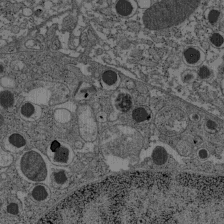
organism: C57BL Mouse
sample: Pancreatic islet